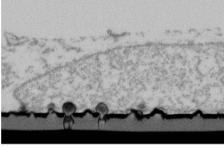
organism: Human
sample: U2-OS cells